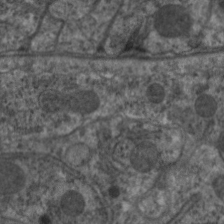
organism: C. elegans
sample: Pharynx